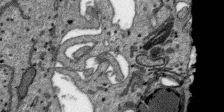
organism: Human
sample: Lung epithelial cells, uninfected (mock) control